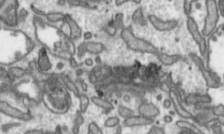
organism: Toxoplasma gondii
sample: Parasites in a vacuole inside a host cell